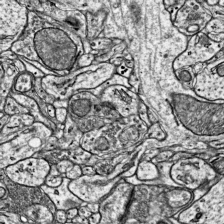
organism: Mouse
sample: Visual Cortex